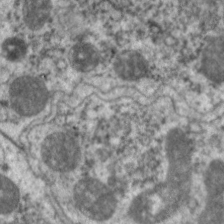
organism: C. elegans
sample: Pharynx